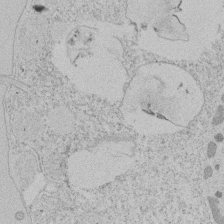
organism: Tetrahymena